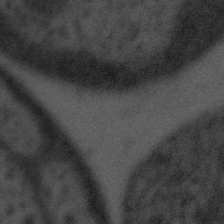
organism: Tuwongella immobilis